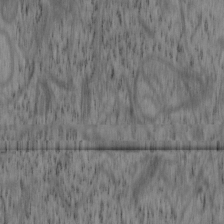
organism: Human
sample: HeLa cells